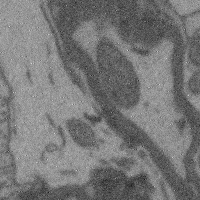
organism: Mouse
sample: Cerebral cortex